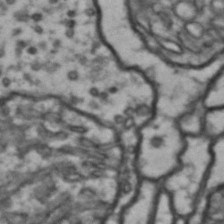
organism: Drosophila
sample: Brain